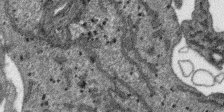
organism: Human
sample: Lung epithelial cells infected with SARS-CoV-2